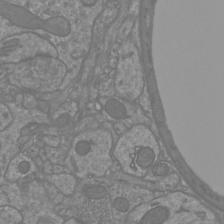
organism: Mouse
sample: Cortical neurons